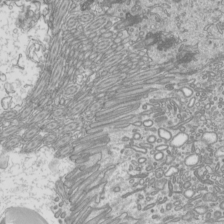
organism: Mouse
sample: Cilia; mouse epididymis